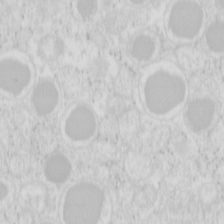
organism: Mouse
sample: Pancreas